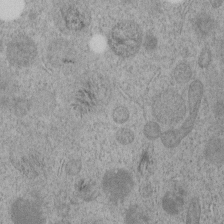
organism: C. elegans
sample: C. elegans embryo early stage